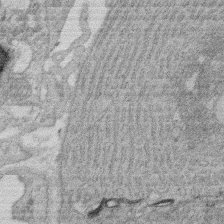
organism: Rat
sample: Salivary granule